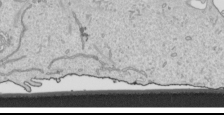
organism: Human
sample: Mitochondria in HCT116 cells